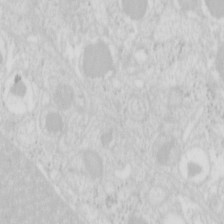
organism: Mouse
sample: Pancreas